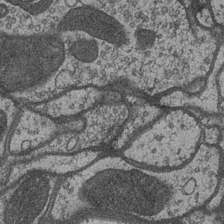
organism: Drosophila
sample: Optic medulla